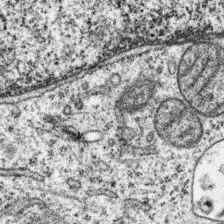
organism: Human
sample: HeLa cells